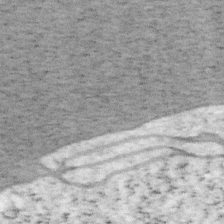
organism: Mouse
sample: OT-I killer T cells with ID8 ovarian cancer cells